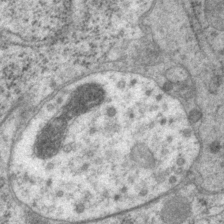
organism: P. pacificus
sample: Pharynx